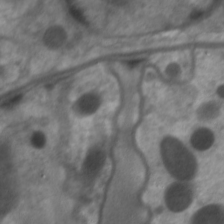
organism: C. elegans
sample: Pharynx